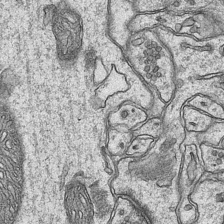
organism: Mouse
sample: CA1 Hippocampus